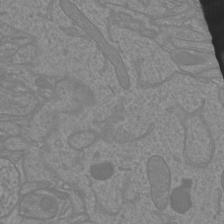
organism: Mouse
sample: Cortical neurons